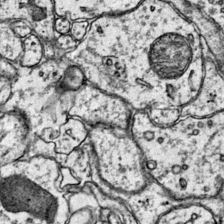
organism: Mouse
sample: Primary visual cortex